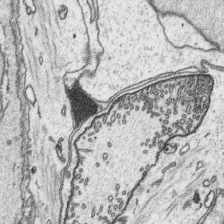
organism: Platynereis dumerilii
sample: Parapodia